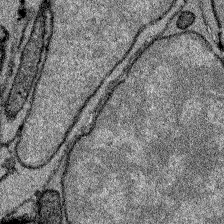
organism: Zebrafish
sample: Larval olfactory bulb